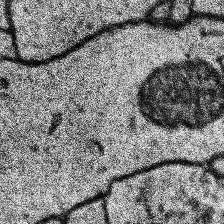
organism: Human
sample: Temporal Lobe